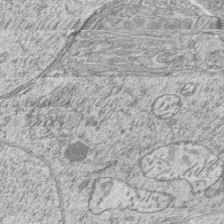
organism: Zebrafish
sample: synaptic ribbons in rod cells and cone cells